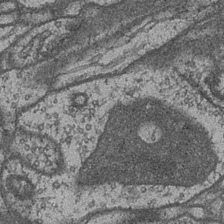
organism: Drosophila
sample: Optic medulla